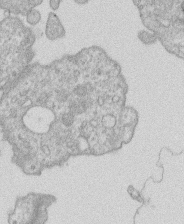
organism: Human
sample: Macrophage cells